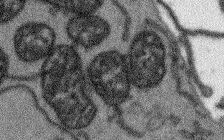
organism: Arabidopsis thaliana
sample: Root tip